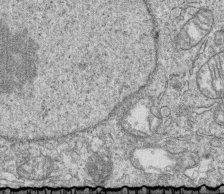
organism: Human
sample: HeLa cell HIV synapse